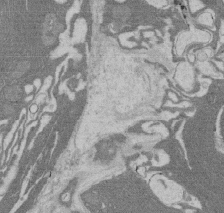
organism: Rat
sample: Salivary granule